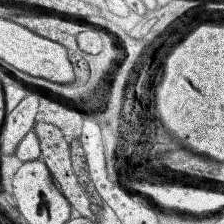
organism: Human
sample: Temporal Lobe